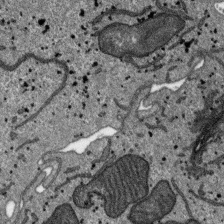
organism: Human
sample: Lung epithelial cells, uninfected (mock) control